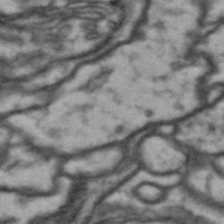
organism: Drosophila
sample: Brain